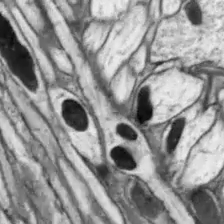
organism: Drosophila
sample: Optic lobe